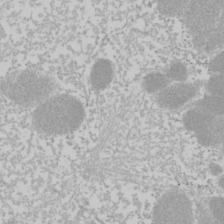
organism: Mouse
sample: Cancer cell death in ED-1 cells